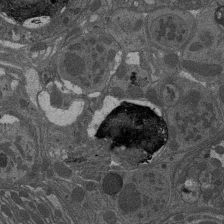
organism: Drosophila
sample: Antenna